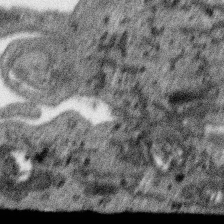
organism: Human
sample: Lung epithelial cells infected with SARS-CoV-2